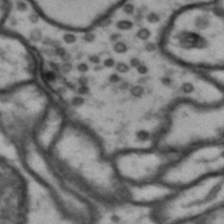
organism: Drosophila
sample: Brain